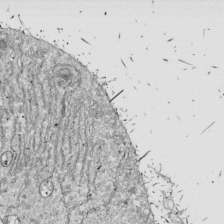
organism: Drosophila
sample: Cell division; meiosis; drosophila spermatocytes